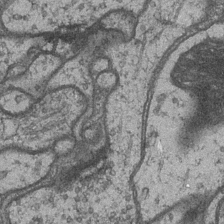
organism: Drosophila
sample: Optic medulla